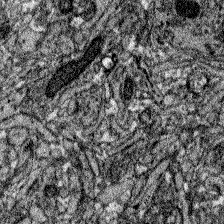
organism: Zebrafish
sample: Larval olfactory bulb